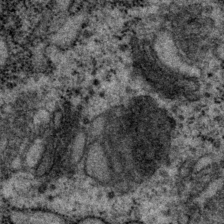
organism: P. pacificus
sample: Pharynx